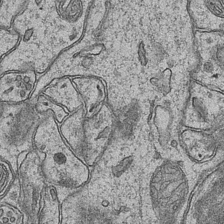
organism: Mouse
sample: CA1 Hippocampus